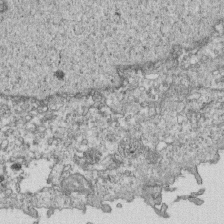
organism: Human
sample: HeLa cell HIV synapse